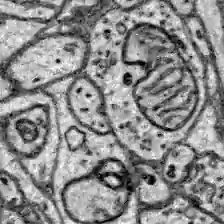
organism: Zebrafish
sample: Brain